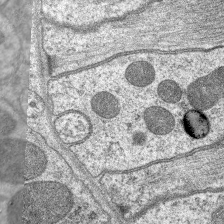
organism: C. elegans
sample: Pharynx